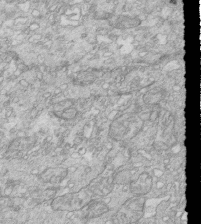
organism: Mouse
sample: Multiciliated cells